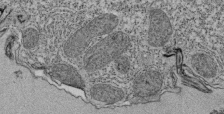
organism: Tetrahymena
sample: Cilia in tetrahymena